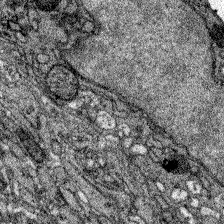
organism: Zebrafish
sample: Larval olfactory bulb